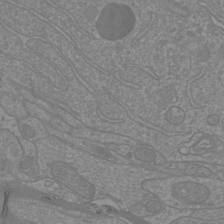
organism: Mouse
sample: Cortical neurons